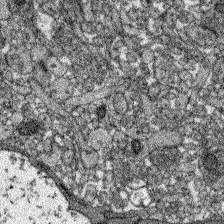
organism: Zebrafish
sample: Larval olfactory bulb